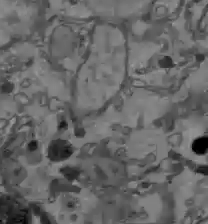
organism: C57BL Mouse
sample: Liver